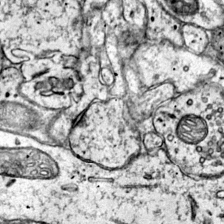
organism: Mouse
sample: Primary visual cortex